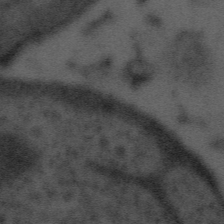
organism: Tuwongella immobilis